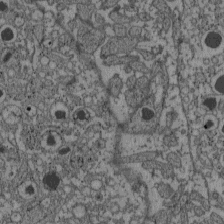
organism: C57BL Mouse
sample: Pancreatic islet